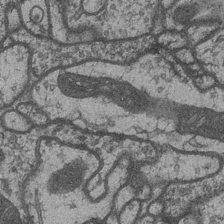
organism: Drosophila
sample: Optic medulla